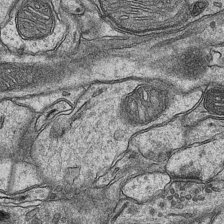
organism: Mouse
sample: CA1 Hippocampus